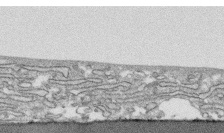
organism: Human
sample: CRL-1474